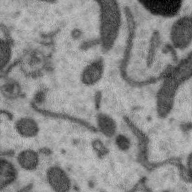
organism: Zebra finch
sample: Brain